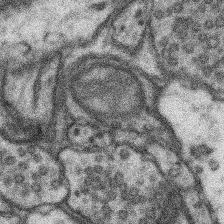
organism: Mouse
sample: Somatosensory cortex neuropil